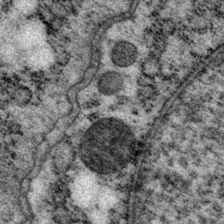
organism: P. pacificus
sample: Pharynx